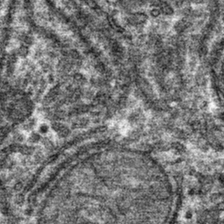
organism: Mouse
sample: Mouse hepatocytes